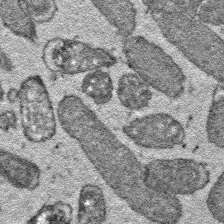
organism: E. coli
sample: E. Coli Bacteria